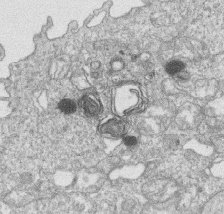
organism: Human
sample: HeLa cell HIV synapse